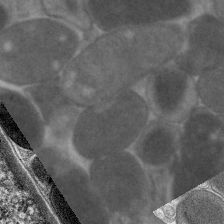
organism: C. elegans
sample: Pharynx